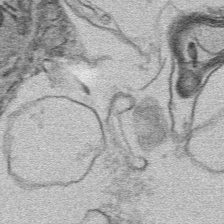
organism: Mouse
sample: Mouse hepatocytes